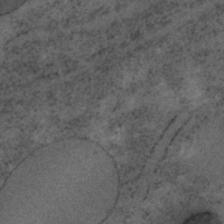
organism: C. elegans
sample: C. elegans embryo